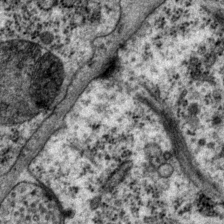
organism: P. pacificus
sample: Pharynx